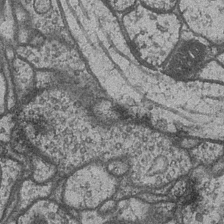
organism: Drosophila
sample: Optic medulla